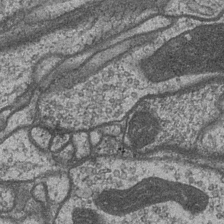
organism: Drosophila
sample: Optic medulla